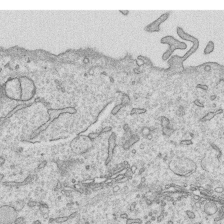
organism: Human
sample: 1205lu cells